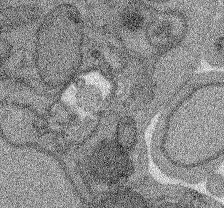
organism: Human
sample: HeLa cells